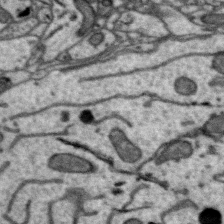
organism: Zebra finch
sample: Brain